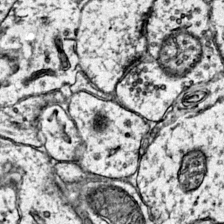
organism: Mouse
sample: Primary visual cortex